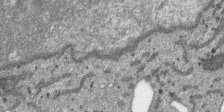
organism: Human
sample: Lung epithelial cells infected with SARS-CoV-2